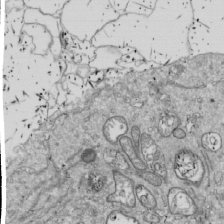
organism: Drosophila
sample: Cell division; meiosis; drosophila spermatocytes